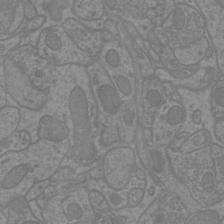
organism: Mouse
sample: Cortical neurons